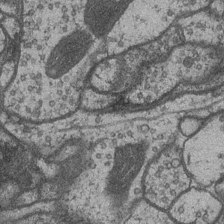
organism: Drosophila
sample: Optic medulla